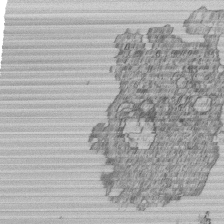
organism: Human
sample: MDA-MB-231 cells